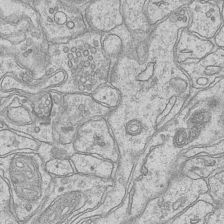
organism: Mouse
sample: CA1 Hippocampus